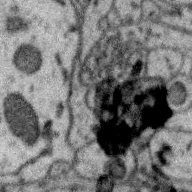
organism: Zebra finch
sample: Brain